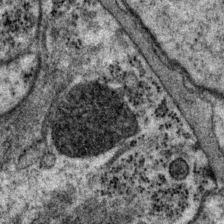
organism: P. pacificus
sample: Pharynx